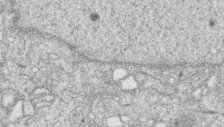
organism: Human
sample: HeLa cell HIV synapse